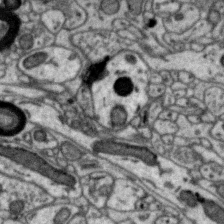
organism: Zebra finch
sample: Brain